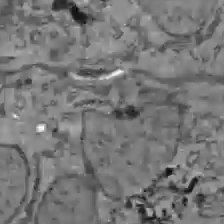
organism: C57BL Mouse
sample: Liver